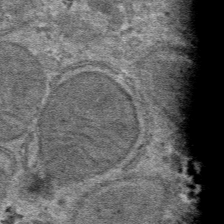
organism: Mouse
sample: Mouse hepatocytes